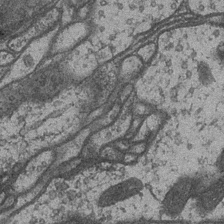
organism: Drosophila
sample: Optic medulla